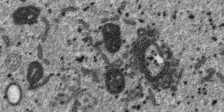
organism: Human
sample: Lung epithelial cells infected with SARS-CoV-2